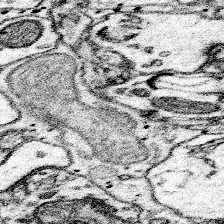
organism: Mouse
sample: Somatosensory cortex neuropil